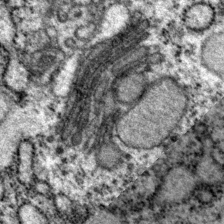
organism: P. pacificus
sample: Pharynx